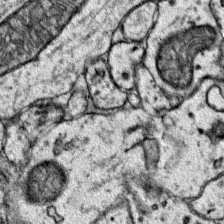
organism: Mouse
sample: Primary visual cortex